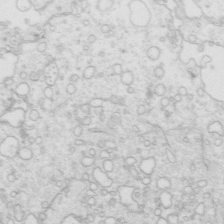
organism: Mouse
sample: Multiciliated cells